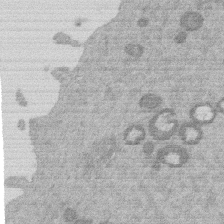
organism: Mouse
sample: Dividing mouse embryo 1 cell stage